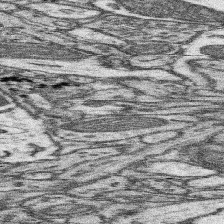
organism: Mouse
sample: Somatosensory cortex neuropil